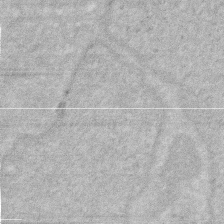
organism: Human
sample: HIV infected U937 cells